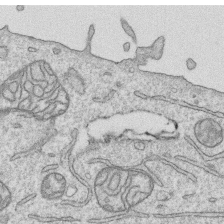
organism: Human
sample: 1205lu cells